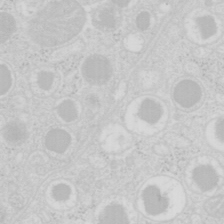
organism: Mouse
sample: Pancreas